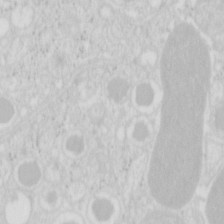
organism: Mouse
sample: Pancreas